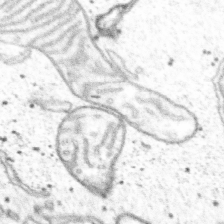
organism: Human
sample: HeLa cells